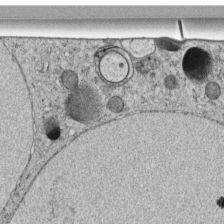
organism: C. elegans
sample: C. elegans embryo early stage